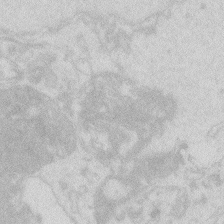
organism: Zebrafish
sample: Macrophage